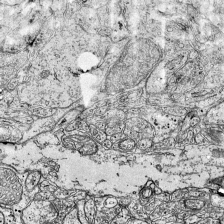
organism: Mouse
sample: Visual Cortex